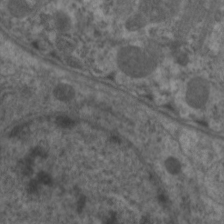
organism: C. elegans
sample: Pharynx